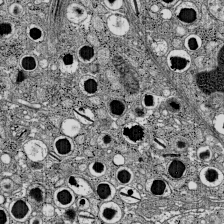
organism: C57BL Mouse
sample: Pancreatic islet